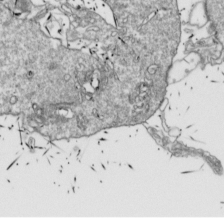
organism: Drosophila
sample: Cell division; meiosis; drosophila spermatocytes